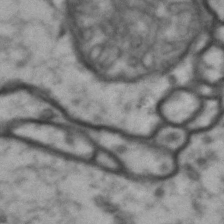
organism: Drosophila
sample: Brain